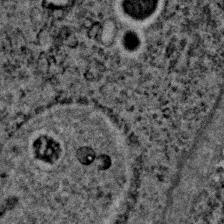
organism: C. elegans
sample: C. elegans embryo